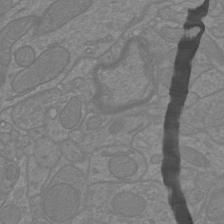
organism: Mouse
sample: Cortical neurons